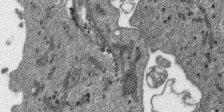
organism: Human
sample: Lung epithelial cells infected with SARS-CoV-2